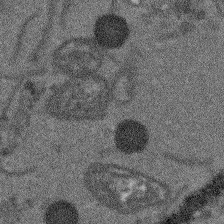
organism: Arabidopsis thaliana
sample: Root tip